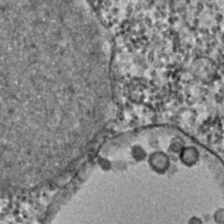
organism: C. elegans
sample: C. elegans embryo